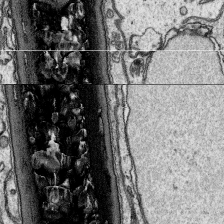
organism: Platynereis dumerilii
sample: Parapodia